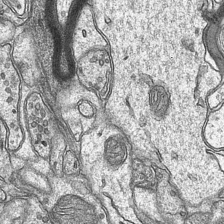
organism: Mouse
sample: CA1 Hippocampus